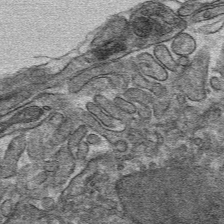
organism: Mouse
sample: Mouse hepatocytes